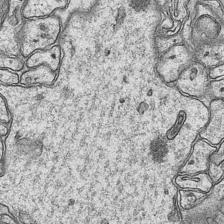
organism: Mouse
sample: CA1 Hippocampus